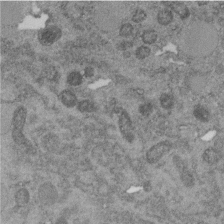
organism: C. elegans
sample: C. elegans embryo early stage